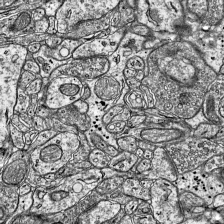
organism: Mouse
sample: Visual Cortex